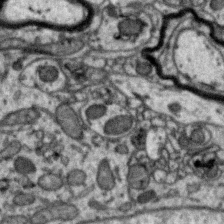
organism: Zebra finch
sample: Brain